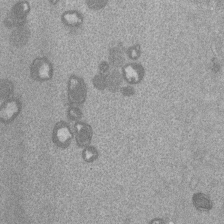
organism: Mouse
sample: Dividing mouse embryo 1 cell stage